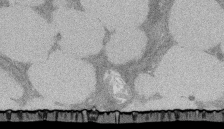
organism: Rat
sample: Salivary granule